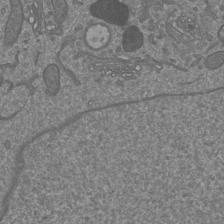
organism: Mouse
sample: Cortical neurons